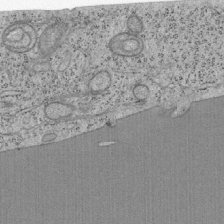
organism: Human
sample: HeLa cells